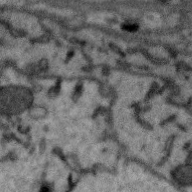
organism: Zebra finch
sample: Brain